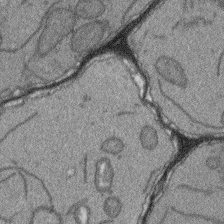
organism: Arabidopsis thaliana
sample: Root tip